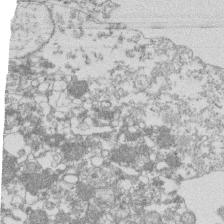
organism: Human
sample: HeLa cell HIV synapse